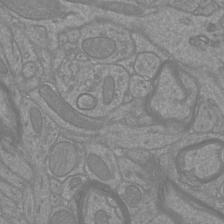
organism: Mouse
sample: Cortical neurons